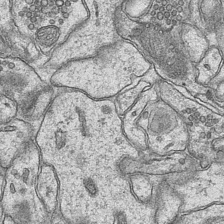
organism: Mouse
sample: CA1 Hippocampus